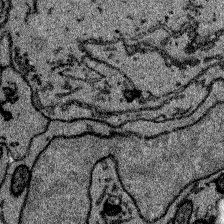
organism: Zebrafish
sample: Larval olfactory bulb